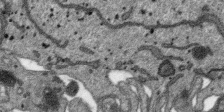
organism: Human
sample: Lung epithelial cells, uninfected (mock) control